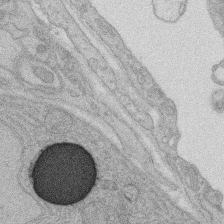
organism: Rat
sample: Salivary granule